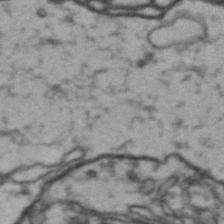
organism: Drosophila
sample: Brain